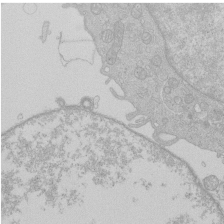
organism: Human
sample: Macrophage cells